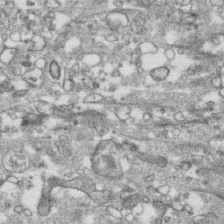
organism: Human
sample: CRL-1474